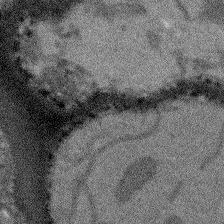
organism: Arabidopsis thaliana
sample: Root tip